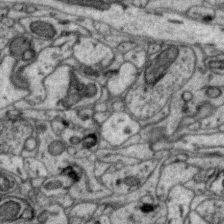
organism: Zebra finch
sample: Brain